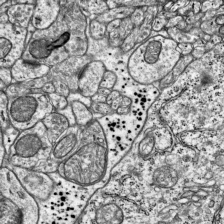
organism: Mouse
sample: Visual Cortex